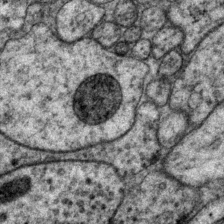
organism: P. pacificus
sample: Pharynx